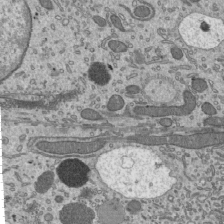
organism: Mouse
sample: Mouse epididymis efferent ductule cilia